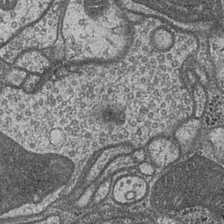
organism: Drosophila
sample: Optic medulla